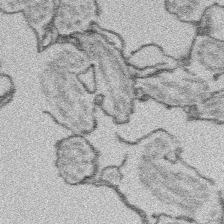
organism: Platynereis dumerilii